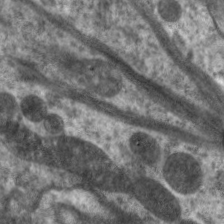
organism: C. elegans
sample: Pharynx